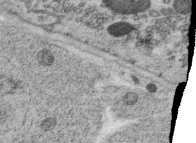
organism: C. elegans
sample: C. elegans oocyte; sperm cells